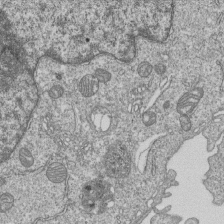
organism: Human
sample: MDA-MB-231 cells